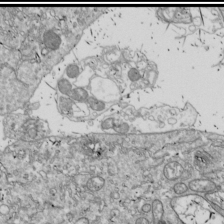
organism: Drosophila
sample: Cell division; meiosis; drosophila spermatocytes